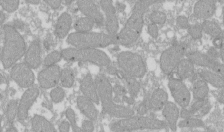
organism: Xenopus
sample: Cilia; centrioles in frog embryo cells